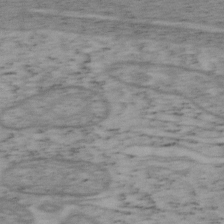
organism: Mouse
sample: OT-I killer T cells with ID8 ovarian cancer cells